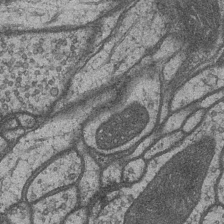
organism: Drosophila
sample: Optic medulla